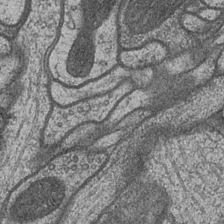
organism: Drosophila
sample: Optic medulla